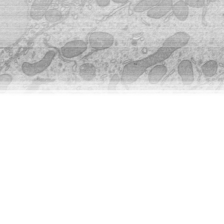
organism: Mouse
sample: Cilia; mouse epididymis